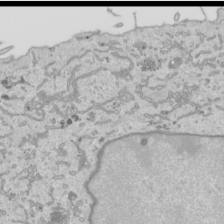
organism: Human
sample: Mitochondria in HCT116 cells